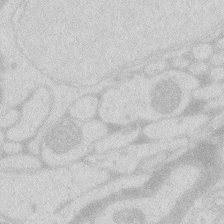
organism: Zebrafish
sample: Macrophage